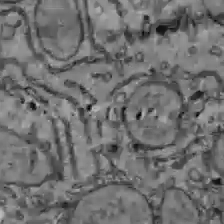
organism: C57BL Mouse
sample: Liver